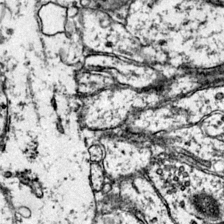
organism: Mouse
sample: Primary visual cortex